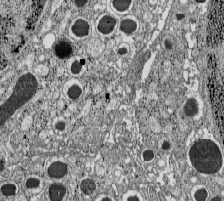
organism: C57BL Mouse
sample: Pancreatic islet